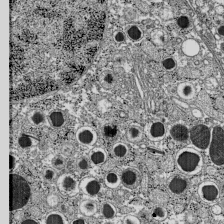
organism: C57BL Mouse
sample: Pancreatic islet